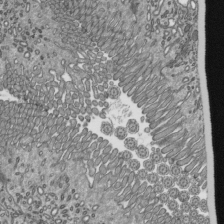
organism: Mouse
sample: Mouse epididymis efferent ductule cilia